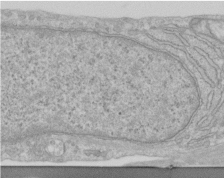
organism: Human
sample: Centriole in RPE cells